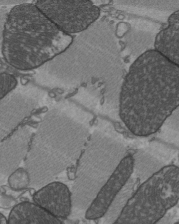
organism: C57BL Mouse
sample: Heart